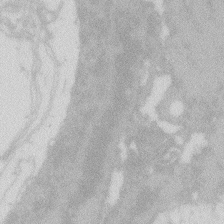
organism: Zebrafish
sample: Macrophage